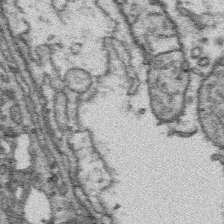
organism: Platynereis dumerilii